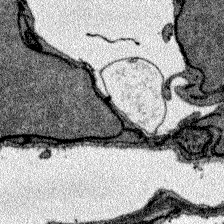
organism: Zebrafish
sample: Larval olfactory bulb